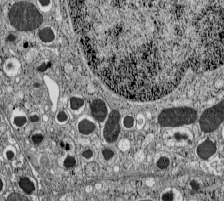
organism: C57BL Mouse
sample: Pancreatic islet